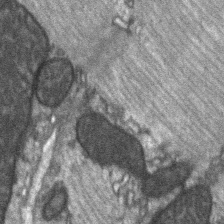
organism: C57BL Mouse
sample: Soleus